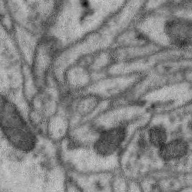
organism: Zebra finch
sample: Brain